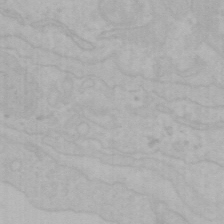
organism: Mouse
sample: Choroid plexus